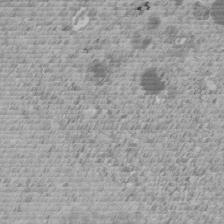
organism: C. elegans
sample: C. elegans embryo early stage